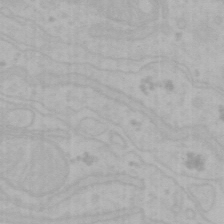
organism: Mouse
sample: Choroid plexus